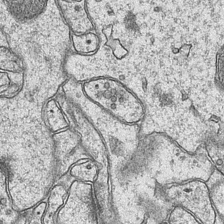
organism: Mouse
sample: CA1 Hippocampus